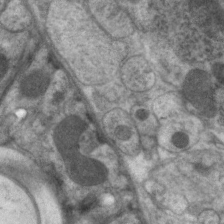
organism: C. elegans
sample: Pharynx